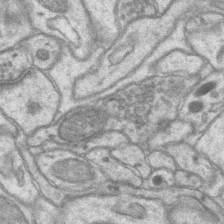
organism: Mouse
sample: CA1 Hippocampus